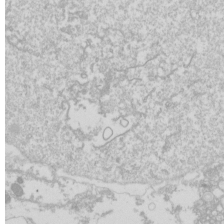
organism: Drosophila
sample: Cell division; meiosis; drosophila spermatocytes